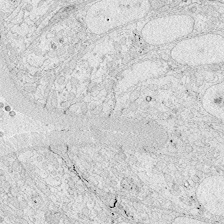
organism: Zebrafish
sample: Whole-Brain